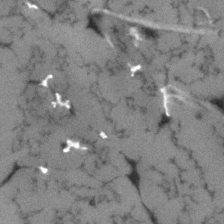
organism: Human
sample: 1205lu cells